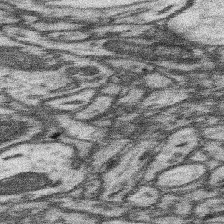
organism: Mouse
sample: Somatosensory cortex neuropil